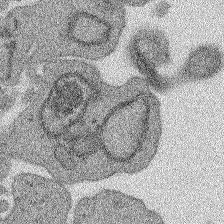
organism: Human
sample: HeLa cells